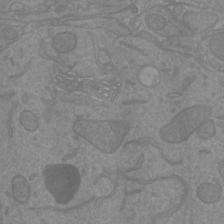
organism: Mouse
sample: Cortical neurons